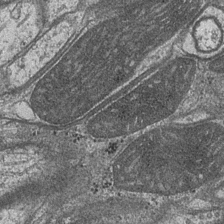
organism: Drosophila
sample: Optic medulla